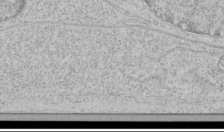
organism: Human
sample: Mitochondria in HCT116 cells